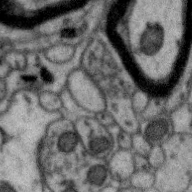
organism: Zebra finch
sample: Brain